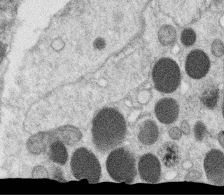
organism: C. elegans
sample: C. elegans oocyte; sperm cells